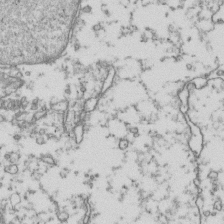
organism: Human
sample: Activated Jurkat CD4+ T cells